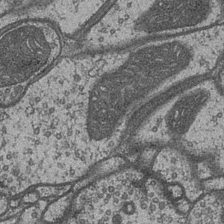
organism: Drosophila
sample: Optic medulla